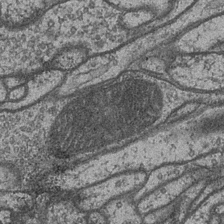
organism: Drosophila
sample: Optic medulla